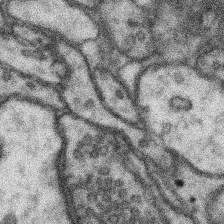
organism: Mouse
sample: Somatosensory cortex neuropil